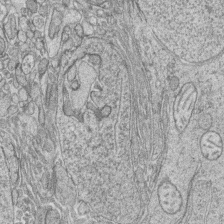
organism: Zebrafish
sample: synaptic ribbons in rod cells and cone cells